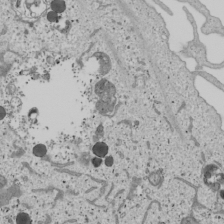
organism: Human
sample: Mitochondria in U2OS cells